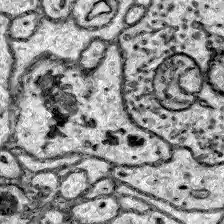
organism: Zebrafish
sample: Brain